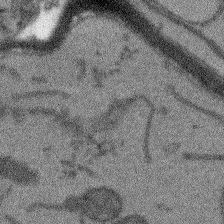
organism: Arabidopsis thaliana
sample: Root tip